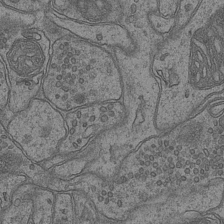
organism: Mouse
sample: CA1 Hippocampus